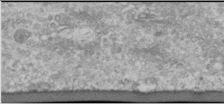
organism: Human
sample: Cilia; basal body in RPE cells